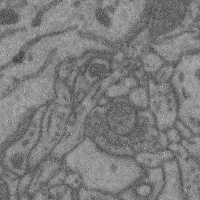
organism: Mouse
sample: Cerebral cortex